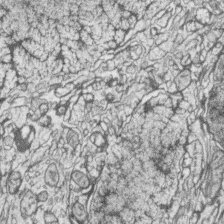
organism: Zebrafish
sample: synaptic ribbons in rod cells and cone cells